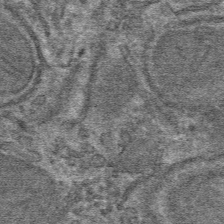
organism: Mouse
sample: Mouse hepatocytes